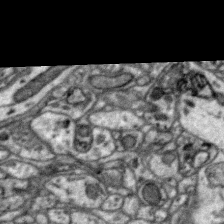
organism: Zebra finch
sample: Brain